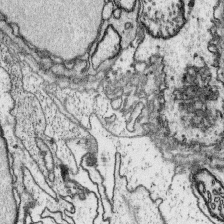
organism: Platynereis dumerilii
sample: Parapodia